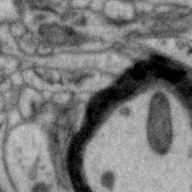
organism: Zebra finch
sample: Brain